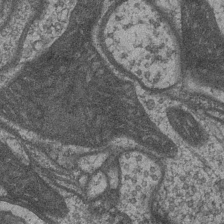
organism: Drosophila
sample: Optic medulla